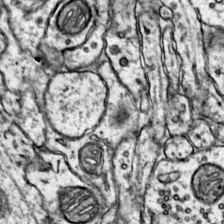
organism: Mouse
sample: Primary visual cortex